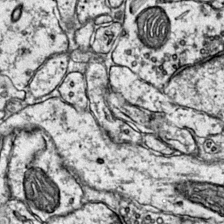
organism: Mouse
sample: Primary visual cortex